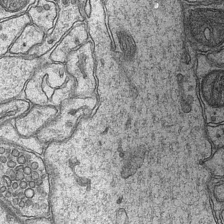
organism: Mouse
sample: CA1 Hippocampus